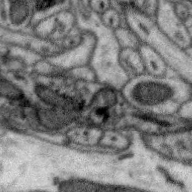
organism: Zebra finch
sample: Brain